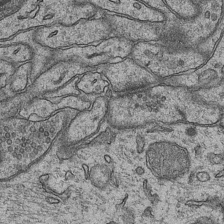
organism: Mouse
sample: CA1 Hippocampus